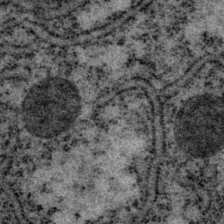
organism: P. pacificus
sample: Pharynx